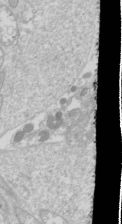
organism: Drosophila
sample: Cell division; meiosis; drosophila spermatocytes